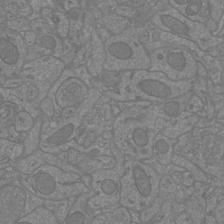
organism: Mouse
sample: Cortical neurons